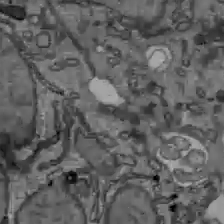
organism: C57BL Mouse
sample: Liver